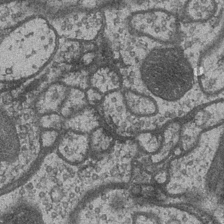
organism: Drosophila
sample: Optic medulla